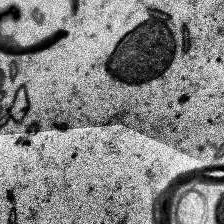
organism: Human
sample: Temporal Lobe